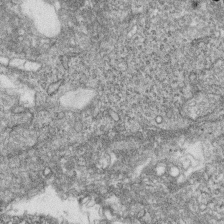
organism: Zebrafish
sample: Cilia; retinal pigment epithelium